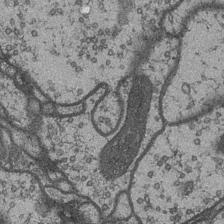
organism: Drosophila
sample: Optic medulla